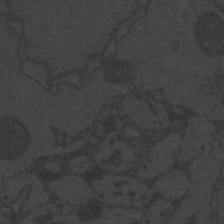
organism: Zebrafish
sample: Macrophage infected with Toxoplasma gondii